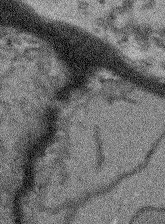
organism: Arabidopsis thaliana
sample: Root tip